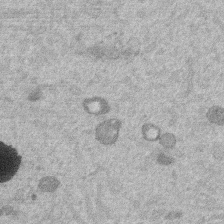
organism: Mouse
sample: Dividing mouse embryo 1 cell stage